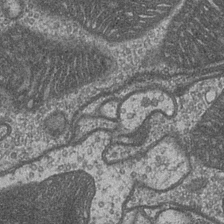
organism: Drosophila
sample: Optic medulla